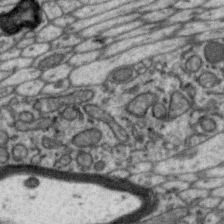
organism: Zebra finch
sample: Brain